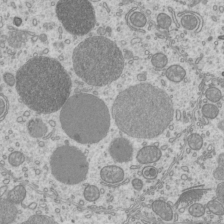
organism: Mouse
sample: Cilia; mouse epididymis